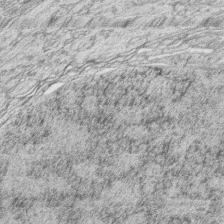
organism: Zebrafish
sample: synaptic ribbons in rod cells and cone cells